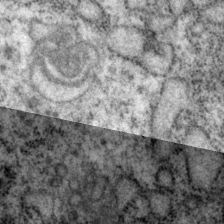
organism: P. pacificus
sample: Pharynx